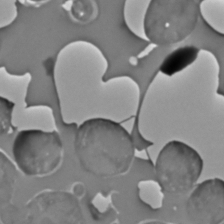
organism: C. elegans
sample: C. elegans embryo